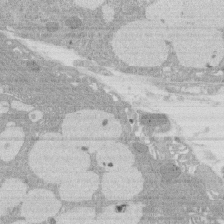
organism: Rat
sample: Salivary granule